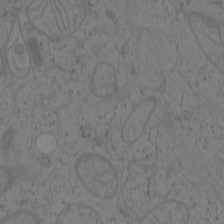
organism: Human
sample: HeLa cells